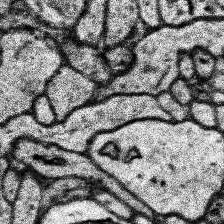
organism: Human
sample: Temporal Lobe